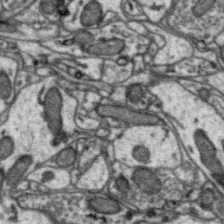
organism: Zebra finch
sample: Brain